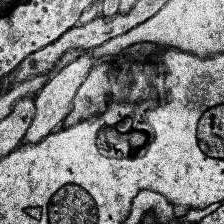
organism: Human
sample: Temporal Lobe